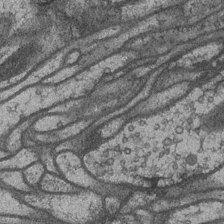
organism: Drosophila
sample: Optic medulla